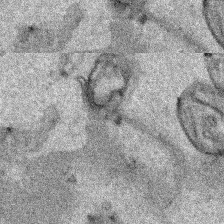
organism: Human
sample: Mitochondria in HCT116 cells